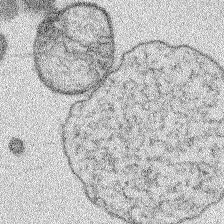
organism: Human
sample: HeLa cells